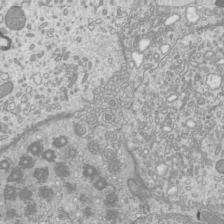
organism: Mouse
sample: Cilia; mouse epididymis